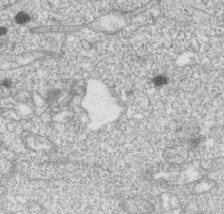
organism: Human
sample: HeLa cell HIV synapse